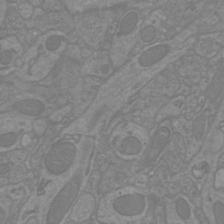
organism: Mouse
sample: Cortical neurons